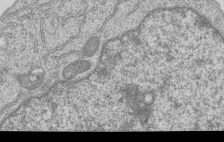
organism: Human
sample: MDA-MB-231 cells